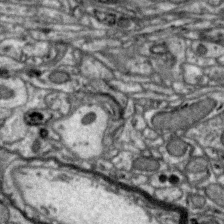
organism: Zebra finch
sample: Brain